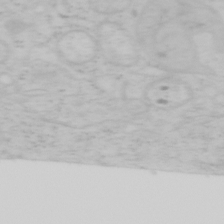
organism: Mouse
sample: OT-I killer T cells with ID8 ovarian cancer cells